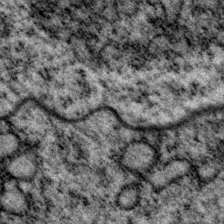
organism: P. pacificus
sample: Pharynx